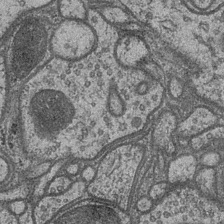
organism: Drosophila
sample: Optic medulla